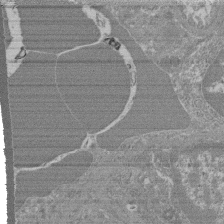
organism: Mouse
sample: Glomerulus